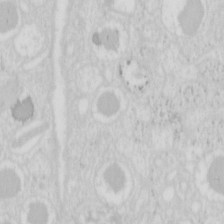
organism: Mouse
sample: Pancreas